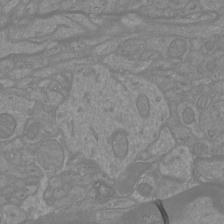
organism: Mouse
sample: Cortical neurons